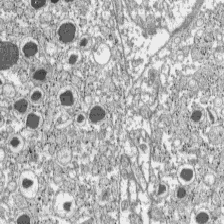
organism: C57BL Mouse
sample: Pancreatic islet